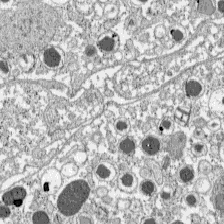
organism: C57BL Mouse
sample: Pancreatic islet